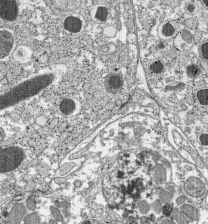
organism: C57BL Mouse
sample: Pancreatic islet